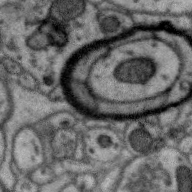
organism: Zebra finch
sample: Brain